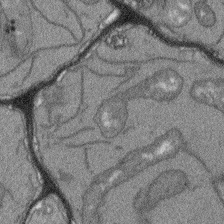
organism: Arabidopsis thaliana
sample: Root tip